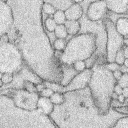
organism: Rabbit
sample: Retina